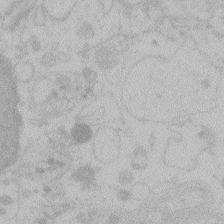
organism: Zebrafish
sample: Macrophage infected with Toxoplasma gondii